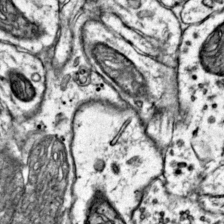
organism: Mouse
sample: Primary visual cortex